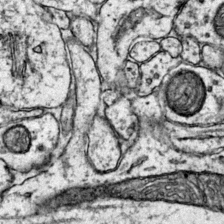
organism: Mouse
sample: Primary visual cortex